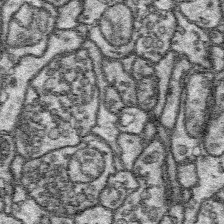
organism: Platynereis dumerilii